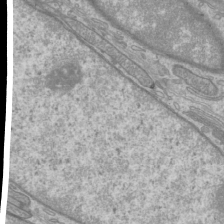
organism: Mouse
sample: Cilia; mouse epididymis